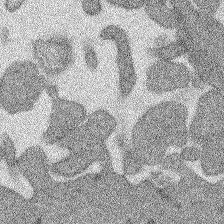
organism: Human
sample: HeLa cells